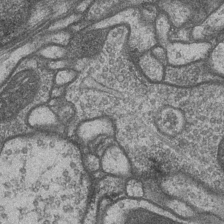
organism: Drosophila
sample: Optic medulla